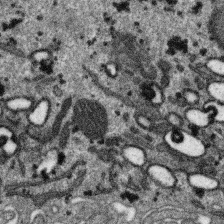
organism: Human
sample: Lung epithelial cells infected with SARS-CoV-2